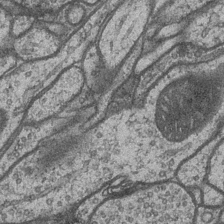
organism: Drosophila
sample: Optic medulla